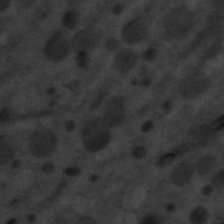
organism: C. elegans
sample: C. elegans embryo